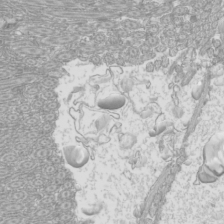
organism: Mouse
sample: Cilia; mouse epididymis